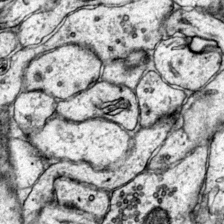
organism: Mouse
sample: Primary visual cortex